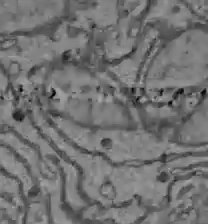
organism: C57BL Mouse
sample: Liver